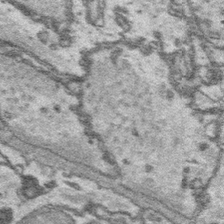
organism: Platynereis dumerilii